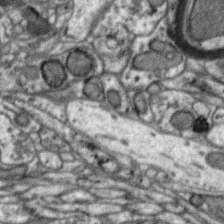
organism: Zebra finch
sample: Brain